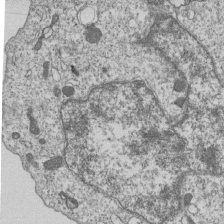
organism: Human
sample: MDA-MB-231 cells